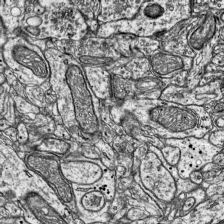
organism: Mouse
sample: Visual Cortex